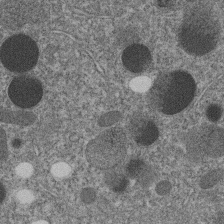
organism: C. elegans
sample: C. elegans embryo early stage